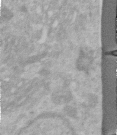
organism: Human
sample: Centriole in RPE cells